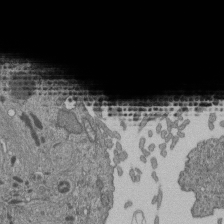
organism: Human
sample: Retinal organoid Rod and Cone cells